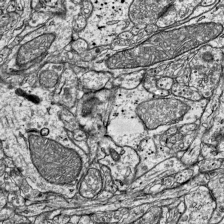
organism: Mouse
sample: Visual Cortex